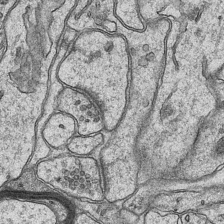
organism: Mouse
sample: CA1 Hippocampus